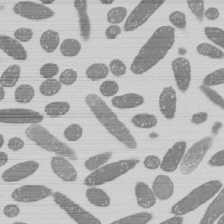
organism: E. coli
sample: Bacterial nucleoid